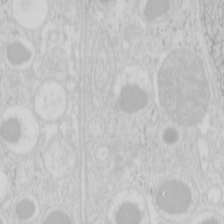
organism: Mouse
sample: Pancreas